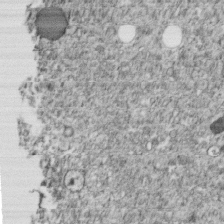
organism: C. elegans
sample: C. elegans embryo early stage